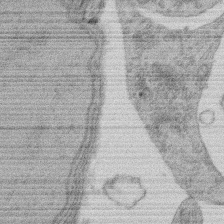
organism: Rat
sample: Salivary granule